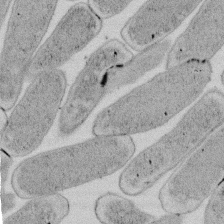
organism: E. coli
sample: Bacterial nucleoid